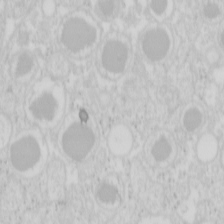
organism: Mouse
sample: Pancreas